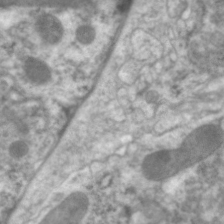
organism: C. elegans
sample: Pharynx